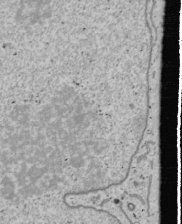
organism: Human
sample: Mitochondria in U2OS cells